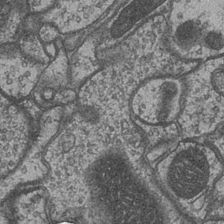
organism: Drosophila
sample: Optic medulla